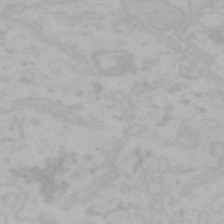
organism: Mouse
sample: Choroid plexus